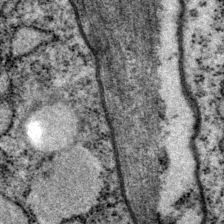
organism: P. pacificus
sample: Pharynx